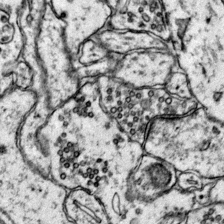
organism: Mouse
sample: Primary visual cortex